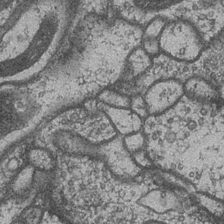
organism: Drosophila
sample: Optic medulla